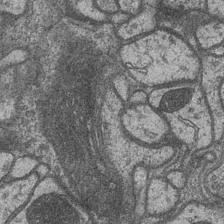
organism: Drosophila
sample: Optic medulla